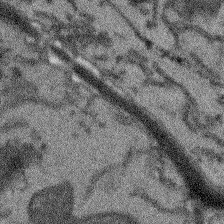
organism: Arabidopsis thaliana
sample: Root tip